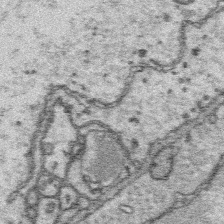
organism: Platynereis dumerilii